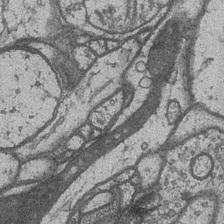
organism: Drosophila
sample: Optic medulla